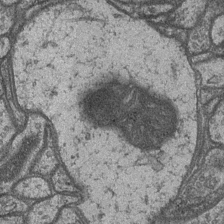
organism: Drosophila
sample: Optic medulla